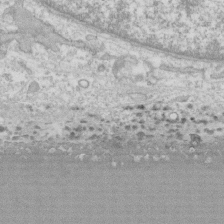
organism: Human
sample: CRL-1474